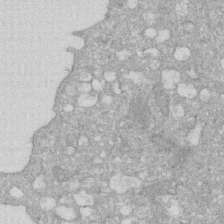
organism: Human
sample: HIV infected U937 cells